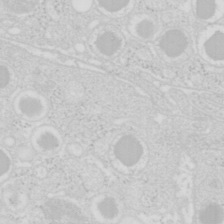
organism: Mouse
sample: Pancreas